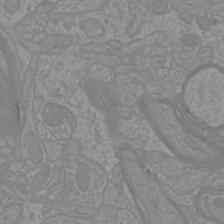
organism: Mouse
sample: Cortical neurons